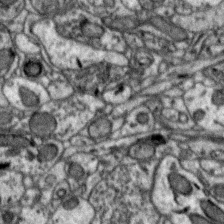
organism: Zebra finch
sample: Brain